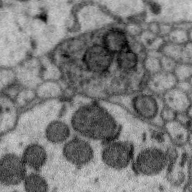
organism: Zebra finch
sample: Brain